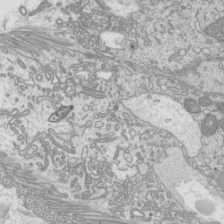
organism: Mouse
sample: Cilia; mouse epididymis